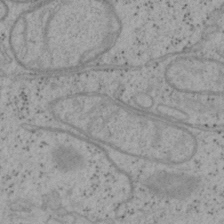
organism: Human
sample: HeLa cells